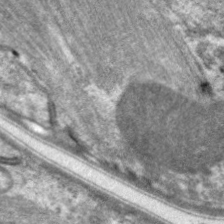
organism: C. elegans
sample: Pharynx